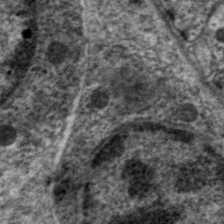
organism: C. elegans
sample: Pharynx